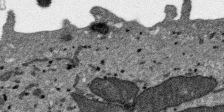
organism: Human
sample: Lung epithelial cells, uninfected (mock) control